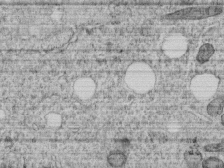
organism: C. elegans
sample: C. elegans embryo early stage